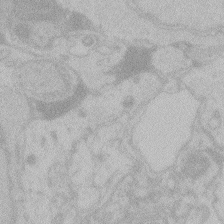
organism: Zebrafish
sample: Macrophage infected with Toxoplasma gondii